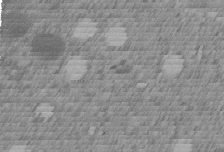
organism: C. elegans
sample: C. elegans embryo early stage